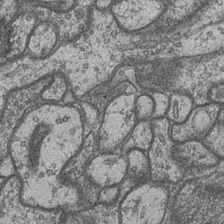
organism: Drosophila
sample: Optic medulla